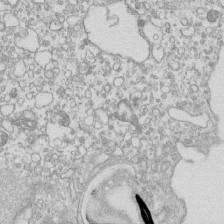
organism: Mouse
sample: Macrophages